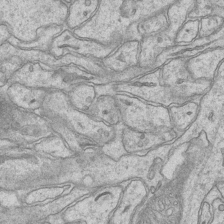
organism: Mouse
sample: CA1 Hippocampus